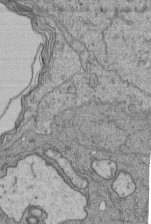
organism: Human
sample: Retinal organoid Rod and Cone cells